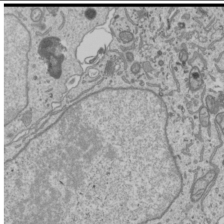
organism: Human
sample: Mitochondria in U2OS cells